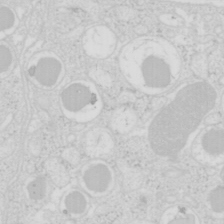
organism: Mouse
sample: Pancreas